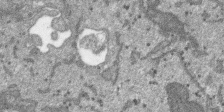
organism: Human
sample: Lung epithelial cells infected with SARS-CoV-2